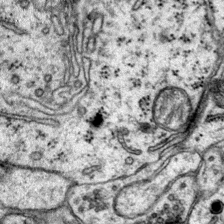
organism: Mouse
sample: Primary visual cortex